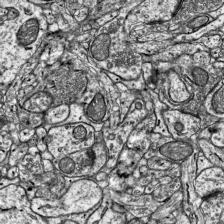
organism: Mouse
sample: Visual Cortex